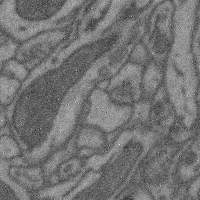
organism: Mouse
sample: Cerebral cortex